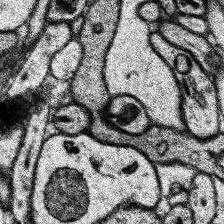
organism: Human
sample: Temporal Lobe